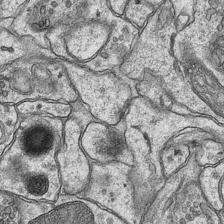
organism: Mouse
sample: CA1 Hippocampus